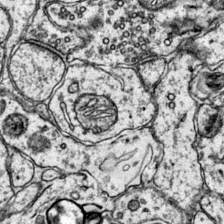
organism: Mouse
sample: Primary visual cortex